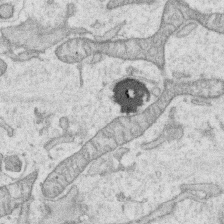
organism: Human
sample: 1205lu cells